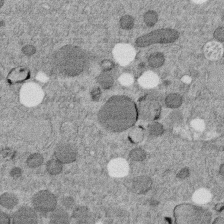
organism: C. elegans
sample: C. elegans embryo early stage